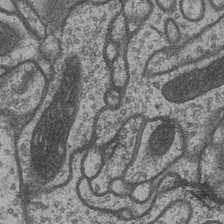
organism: Drosophila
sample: Optic medulla